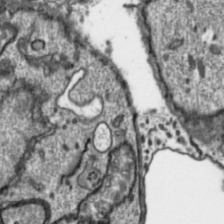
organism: Toxoplasma gondii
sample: Parasites in a vacuole inside a host cell